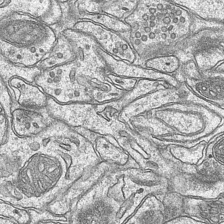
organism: Mouse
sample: CA1 Hippocampus